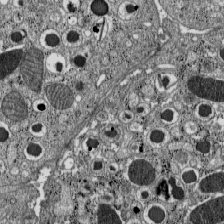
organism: C57BL Mouse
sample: Pancreatic islet